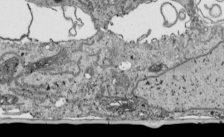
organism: Human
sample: Mitochondria in HCT116 cells